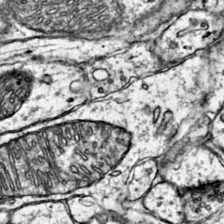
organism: Mouse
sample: Primary visual cortex